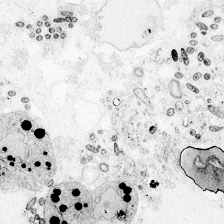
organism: Zebrafish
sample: Whole-Brain